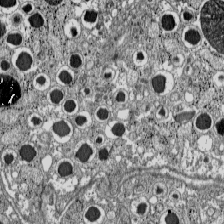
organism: C57BL Mouse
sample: Pancreatic islet